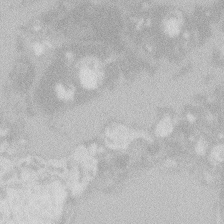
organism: Zebrafish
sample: Macrophage